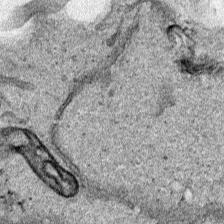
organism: Human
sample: Mitochondria in HCT116 cells